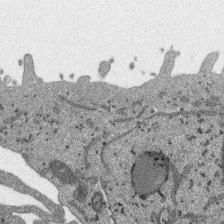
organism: Human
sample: Lung epithelial cells infected with SARS-CoV-2